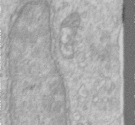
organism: Human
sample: Centriole in RPE cells